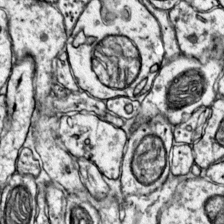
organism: Mouse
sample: Primary visual cortex